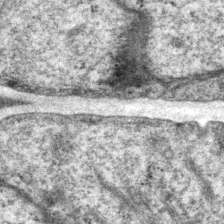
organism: P. pacificus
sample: Pharynx